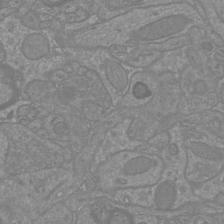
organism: Mouse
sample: Cortical neurons